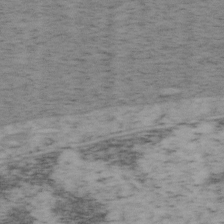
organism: Mouse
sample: OT-I killer T cells with ID8 ovarian cancer cells